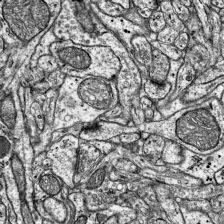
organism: Mouse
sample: Visual Cortex